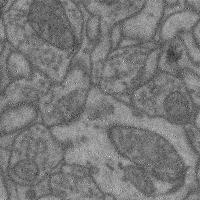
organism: Mouse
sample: Cerebral cortex